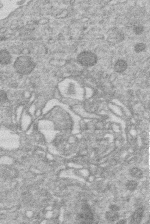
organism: Human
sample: Macrophage cells